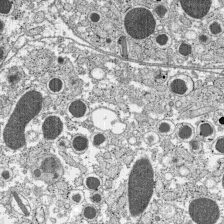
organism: C57BL Mouse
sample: Pancreatic islet